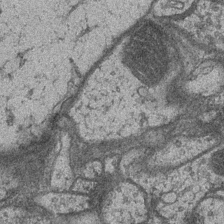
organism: Drosophila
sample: Optic medulla